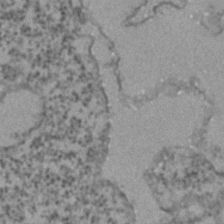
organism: Zebrafish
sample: Zebrafish embryo